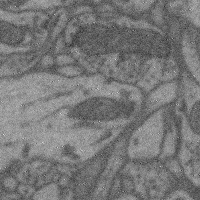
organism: Mouse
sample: Cerebral cortex